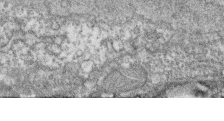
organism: Zebrafish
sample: Cilia; retinal pigment epithelium